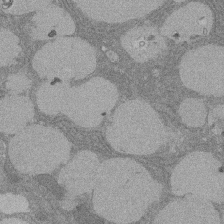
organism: Rat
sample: Salivary granule